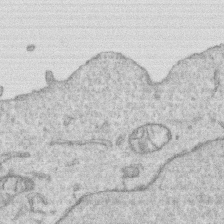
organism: Human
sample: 1205lu cells